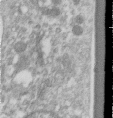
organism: Human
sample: Centriole in RPE cells